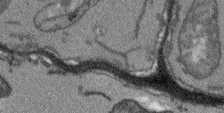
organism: Arabidopsis thaliana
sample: Root tip